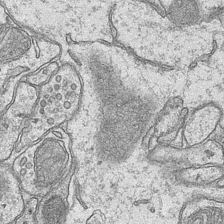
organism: Mouse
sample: CA1 Hippocampus